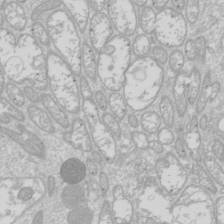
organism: Drosophila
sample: Cell division; meiosis; drosophila spermatocytes